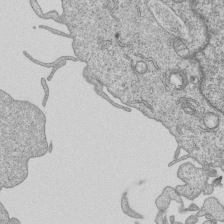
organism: Human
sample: MDA-MB-231 cells